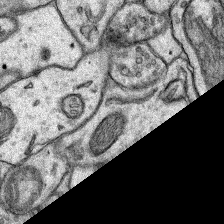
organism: Rat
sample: Hippocampus